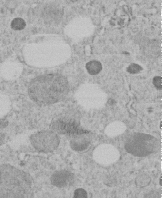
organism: C. elegans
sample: C. elegans embryo early stage